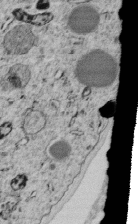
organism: C. elegans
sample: C. elegans embryo early stage